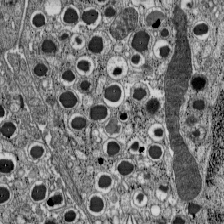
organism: C57BL Mouse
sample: Pancreatic islet